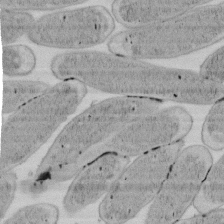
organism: E. coli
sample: Bacterial nucleoid